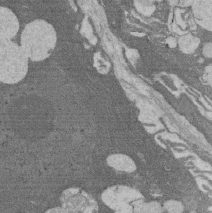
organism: Rat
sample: Salivary granule